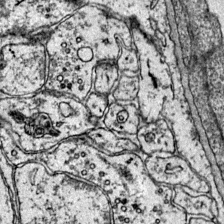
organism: Mouse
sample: Primary visual cortex